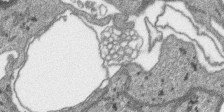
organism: Human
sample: Lung epithelial cells infected with SARS-CoV-2